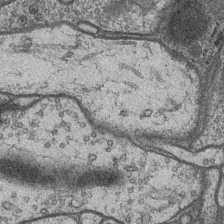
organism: Drosophila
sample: Optic medulla